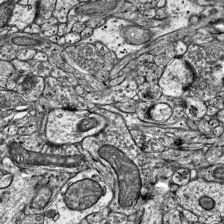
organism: Mouse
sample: Visual Cortex